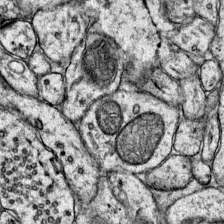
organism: Mouse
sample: Primary visual cortex